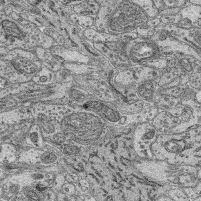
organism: Mouse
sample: Retina